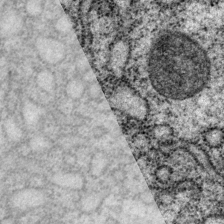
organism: P. pacificus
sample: Pharynx